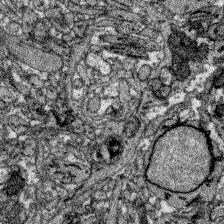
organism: Zebrafish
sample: Larval olfactory bulb